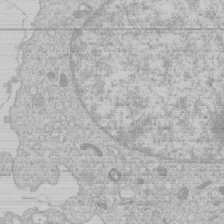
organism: Human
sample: Macrophage cells